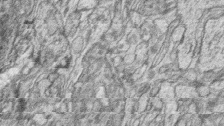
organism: Zebrafish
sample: synaptic ribbons in rod cells and cone cells